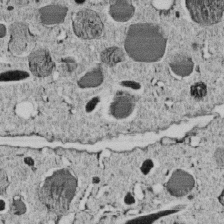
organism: C. elegans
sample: C. elegans embryo early stage